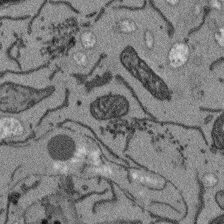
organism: Arabidopsis thaliana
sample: Root tip